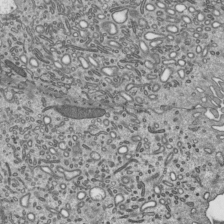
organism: Mouse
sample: Mouse epididymis efferent ductule cilia